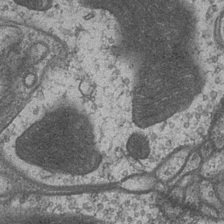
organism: Drosophila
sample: Optic medulla